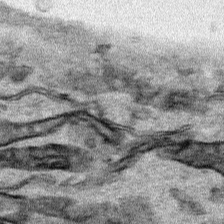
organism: Human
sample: Mitochondria in HCT116 cells